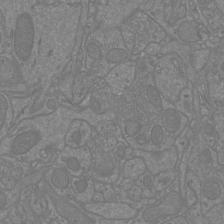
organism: Mouse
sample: Cortical neurons